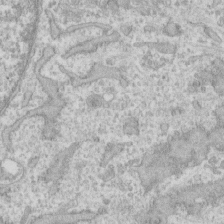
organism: Human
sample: CRL-1474